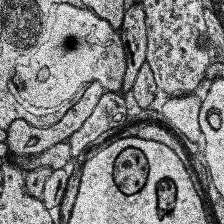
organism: Human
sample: Temporal Lobe